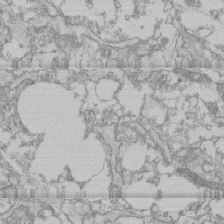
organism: Human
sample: CRL-1474